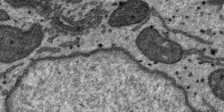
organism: Human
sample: Lung epithelial cells, uninfected (mock) control